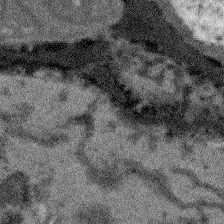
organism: Arabidopsis thaliana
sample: Root tip